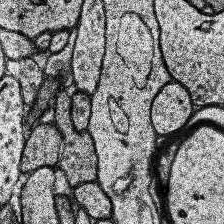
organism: Human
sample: Temporal Lobe